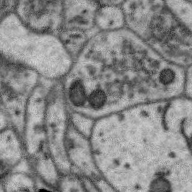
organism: Zebra finch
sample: Brain